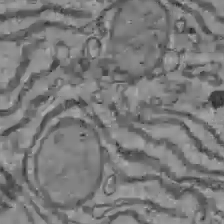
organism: C57BL Mouse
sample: Liver